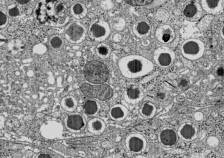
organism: C57BL Mouse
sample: Pancreatic islet